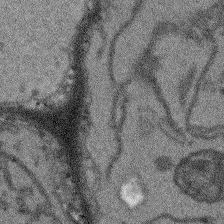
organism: Arabidopsis thaliana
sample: Root tip